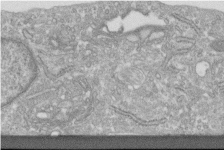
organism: Human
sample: Centriole in fibroblast cells